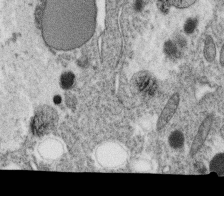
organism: C. elegans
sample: C. elegans oocyte; sperm cells